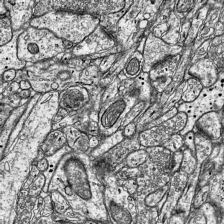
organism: Mouse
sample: Visual Cortex